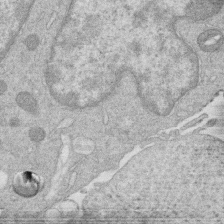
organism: Human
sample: Macrophage cells